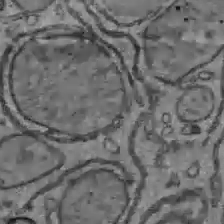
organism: C57BL Mouse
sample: Liver